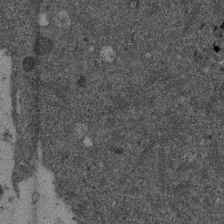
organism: Mouse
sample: Dividing mouse embryo 1 cell stage